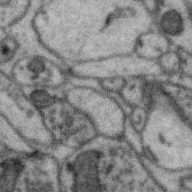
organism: Zebra finch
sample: Brain